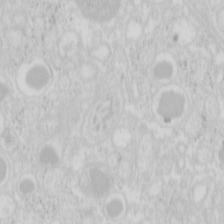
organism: Mouse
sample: Pancreas